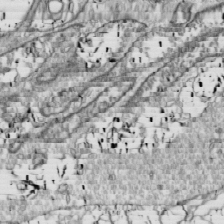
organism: Drosophila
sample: Cell division; meiosis; drosophila spermatocytes